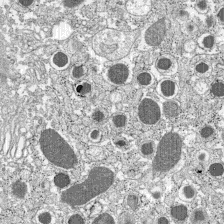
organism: C57BL Mouse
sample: Pancreatic islet